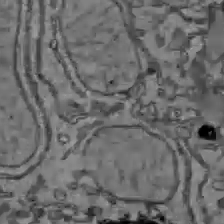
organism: C57BL Mouse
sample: Liver